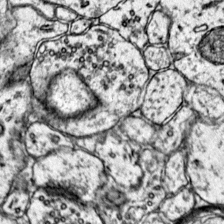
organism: Mouse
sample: Primary visual cortex